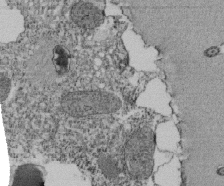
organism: Tetrahymena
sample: Cilia in tetrahymena